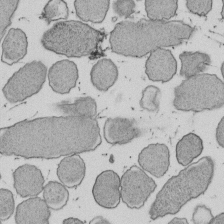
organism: E. coli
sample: Bacterial nucleoid